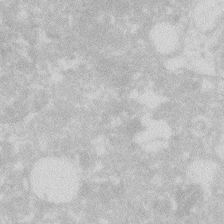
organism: Zebrafish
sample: Macrophage